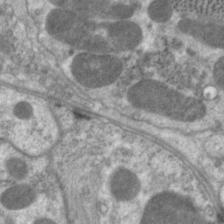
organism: C. elegans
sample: Pharynx